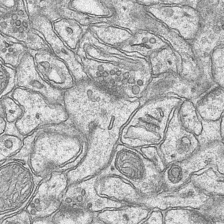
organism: Mouse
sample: CA1 Hippocampus